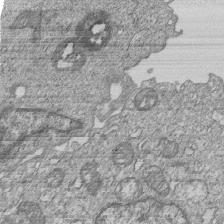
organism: Human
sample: MDA-MB-231 cells